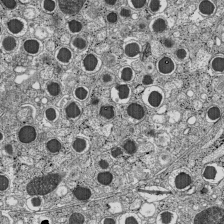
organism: C57BL Mouse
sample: Pancreatic islet